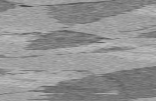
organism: C57BL Mouse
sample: Heart